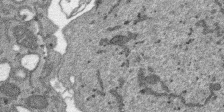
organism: Human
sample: Lung epithelial cells infected with SARS-CoV-2